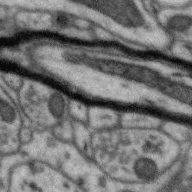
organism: Zebra finch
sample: Brain